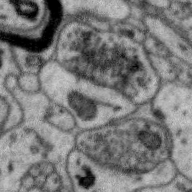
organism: Zebra finch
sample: Brain